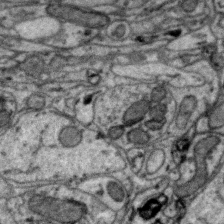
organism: Zebra finch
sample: Brain